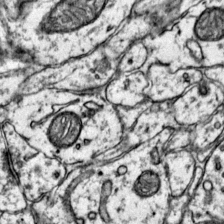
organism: Mouse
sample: Primary visual cortex